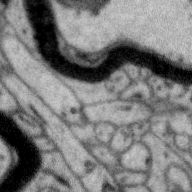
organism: Zebra finch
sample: Brain